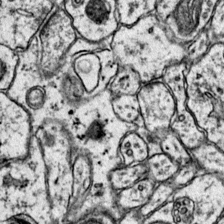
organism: Mouse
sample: Primary visual cortex